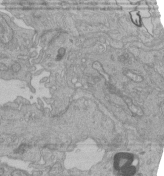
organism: Human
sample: Retinal organoid Rod and Cone cells